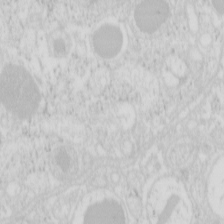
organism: Mouse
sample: Pancreas